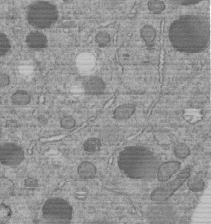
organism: C. elegans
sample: C. elegans embryo early stage